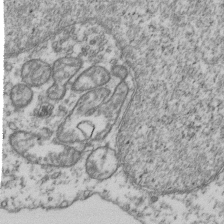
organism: Human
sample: Activated Jurkat CD4+ T cells